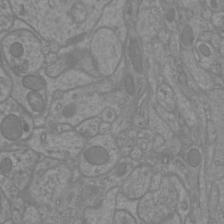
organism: Mouse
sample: Cortical neurons